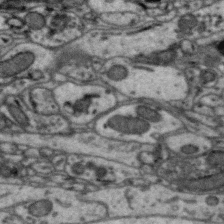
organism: Zebra finch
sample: Brain